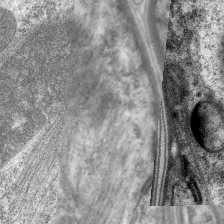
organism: C. elegans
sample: Pharynx